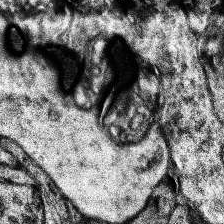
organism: Human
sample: Temporal Lobe